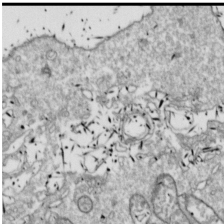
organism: Drosophila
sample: Cell division; meiosis; drosophila spermatocytes